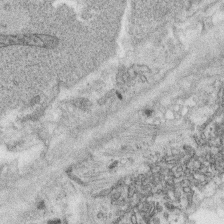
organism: C. elegans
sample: C. elegans oocyte; sperm cells